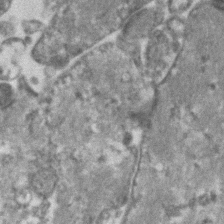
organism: Human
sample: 1205lu cells